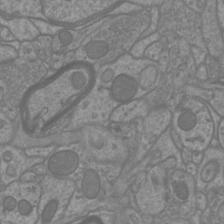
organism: Mouse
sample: Cortical neurons